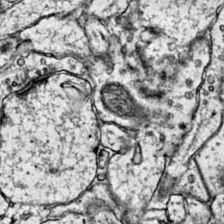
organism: Mouse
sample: Primary visual cortex